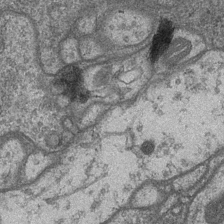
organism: Drosophila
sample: Optic medulla